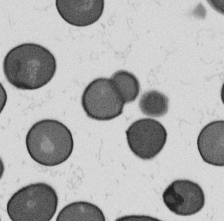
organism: B. subtilis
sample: Bacterial spore